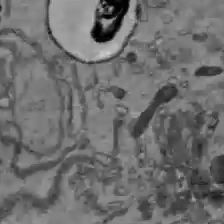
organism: C57BL Mouse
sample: Liver